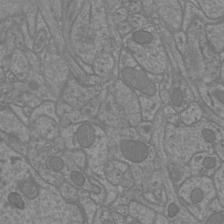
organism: Mouse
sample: Cortical neurons